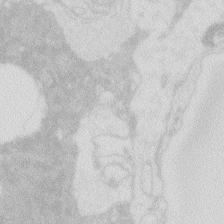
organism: Zebrafish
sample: Macrophage